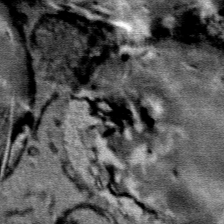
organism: Mouse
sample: Mouse Salivary gland